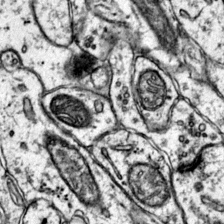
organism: Mouse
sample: Primary visual cortex